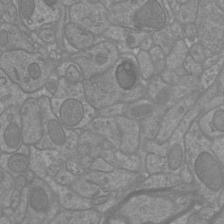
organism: Mouse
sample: Cortical neurons